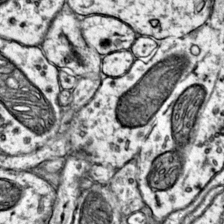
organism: Mouse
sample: Primary visual cortex